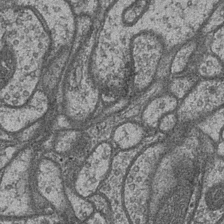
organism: Drosophila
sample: Optic medulla